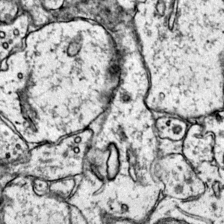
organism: Mouse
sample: Primary visual cortex